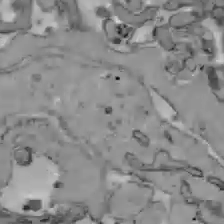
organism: C57BL Mouse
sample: Liver